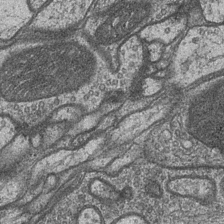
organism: Drosophila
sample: Optic medulla